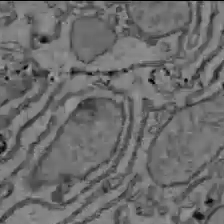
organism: C57BL Mouse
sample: Liver